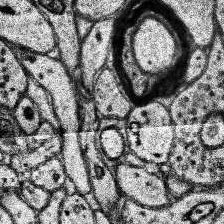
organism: Human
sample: Temporal Lobe